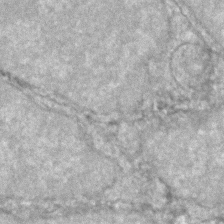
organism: Zebrafish